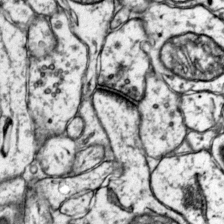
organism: Mouse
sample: Primary visual cortex